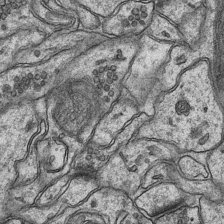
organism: Mouse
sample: CA1 Hippocampus